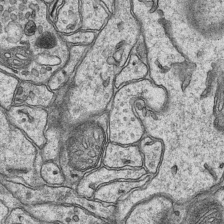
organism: Mouse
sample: CA1 Hippocampus